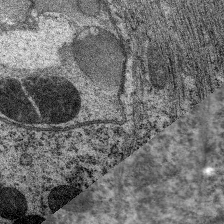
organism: C. elegans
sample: Pharynx